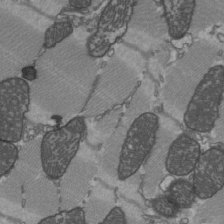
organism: C57BL Mouse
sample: Heart